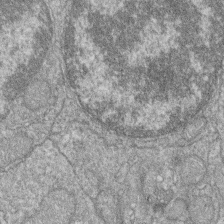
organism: Zebrafish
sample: Cilia; retinal pigment epithelium